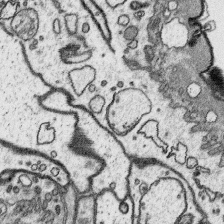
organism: Platynereis dumerilii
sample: Parapodia